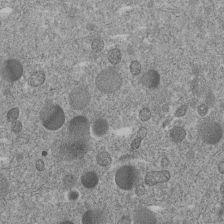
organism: C. elegans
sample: C. elegans embryo early stage